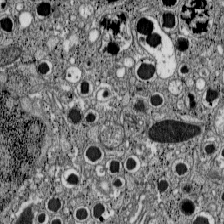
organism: C57BL Mouse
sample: Pancreatic islet